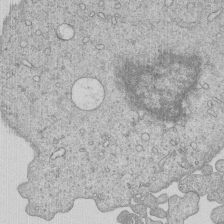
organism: Human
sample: MDA-MB-231 cells